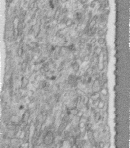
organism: Human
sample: Centriole in fibroblast cells